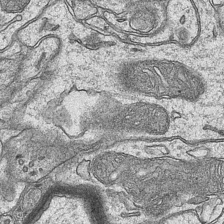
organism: Mouse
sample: CA1 Hippocampus